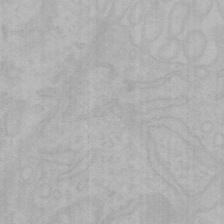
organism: Mouse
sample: Choroid plexus